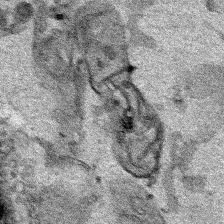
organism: Human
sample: Mitochondria in HCT116 cells